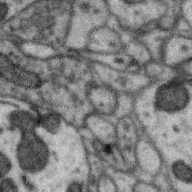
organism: Zebra finch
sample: Brain